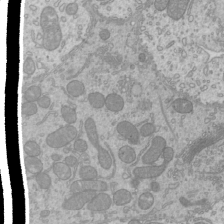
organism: Mouse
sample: Cilia; mouse epididymis